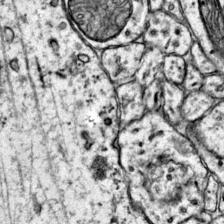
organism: Mouse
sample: Primary visual cortex